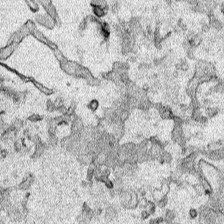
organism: Human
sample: Mitochondria in HCT116 cells